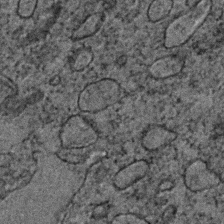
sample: Trachea